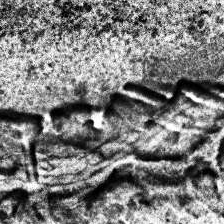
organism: Human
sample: Temporal Lobe